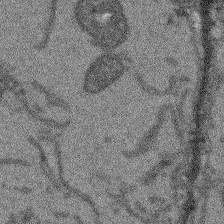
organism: Arabidopsis thaliana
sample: Root tip